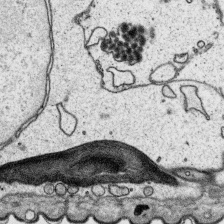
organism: Platynereis dumerilii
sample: Parapodia